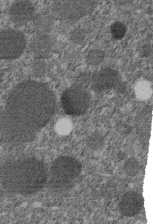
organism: C. elegans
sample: C. elegans embryo early stage